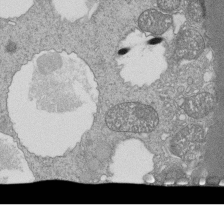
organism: Tetrahymena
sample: Cilia in tetrahymena